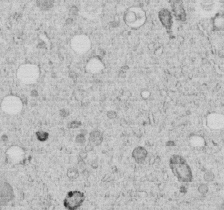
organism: C. elegans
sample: C. elegans embryo early stage